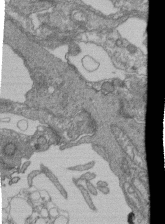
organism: Human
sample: Retinal organoid Rod and Cone cells